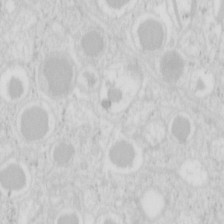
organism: Mouse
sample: Pancreas